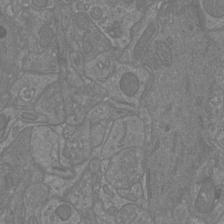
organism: Mouse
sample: Cortical neurons